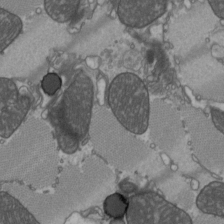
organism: C57BL Mouse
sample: Heart